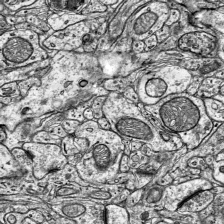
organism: Mouse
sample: Visual Cortex